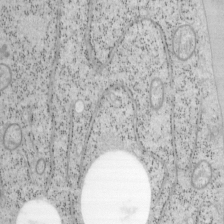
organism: Mouse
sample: OT-I killer T cells with ID8 ovarian cancer cells